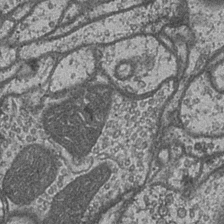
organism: Drosophila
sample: Optic medulla